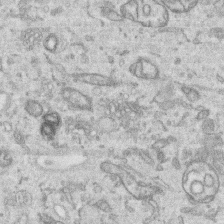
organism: Human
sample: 1205lu cells